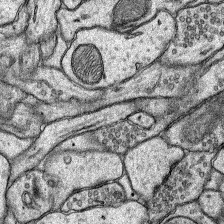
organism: Rat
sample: Hippocampus